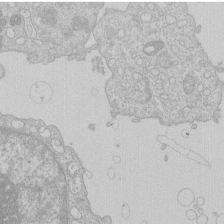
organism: Human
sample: Macrophage cells